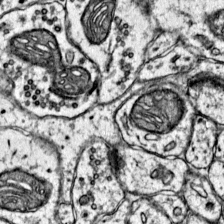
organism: Mouse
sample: Primary visual cortex